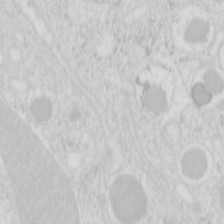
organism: Mouse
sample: Pancreas